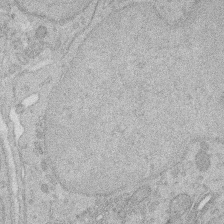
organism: Rat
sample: Salivary granule